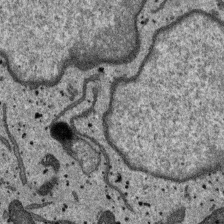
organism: Human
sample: Lung epithelial cells, uninfected (mock) control